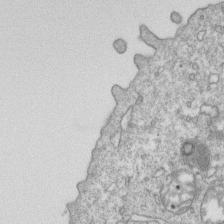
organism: Mouse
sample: Activated OT-1 CD8+ T cells